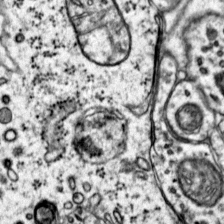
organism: Mouse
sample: Primary visual cortex